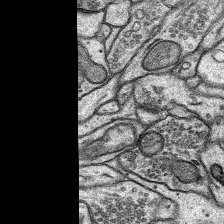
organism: Rat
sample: Hippocampus